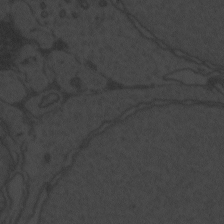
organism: Zebrafish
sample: Macrophage infected with Toxoplasma gondii